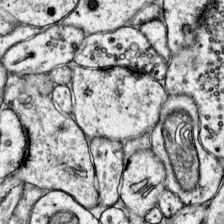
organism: Mouse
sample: Primary visual cortex